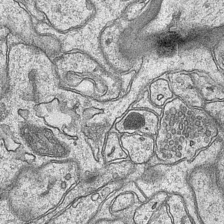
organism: Mouse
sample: CA1 Hippocampus